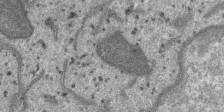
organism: Human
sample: Lung epithelial cells infected with SARS-CoV-2